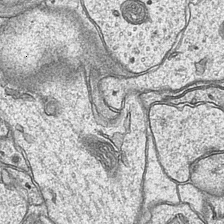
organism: Mouse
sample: CA1 Hippocampus